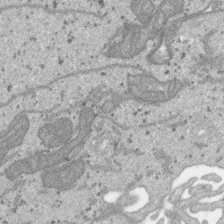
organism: Human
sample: Lung epithelial cells infected with SARS-CoV-2